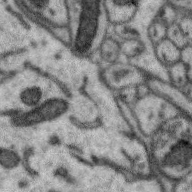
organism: Zebra finch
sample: Brain